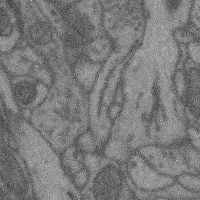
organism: Mouse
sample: Cerebral cortex